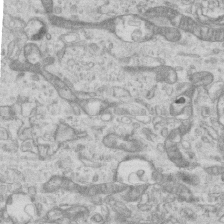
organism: Mouse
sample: Centriole in ependymal cells